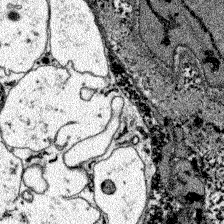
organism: Zebrafish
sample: Larval olfactory bulb